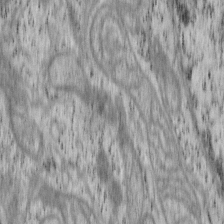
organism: Human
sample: HeLa cells